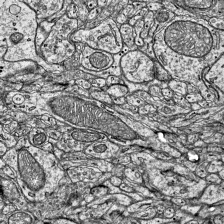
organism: Mouse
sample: Visual Cortex